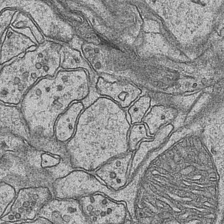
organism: Mouse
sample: CA1 Hippocampus